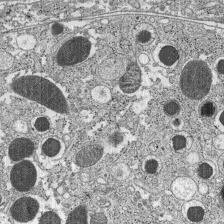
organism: C57BL Mouse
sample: Pancreatic islet